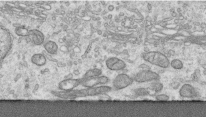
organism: Human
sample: Centriole in RPE cells